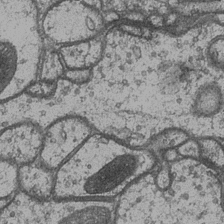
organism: Drosophila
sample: Optic medulla